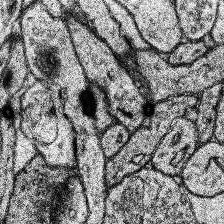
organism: Human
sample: Temporal Lobe